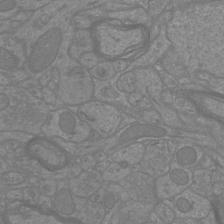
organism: Mouse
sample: Cortical neurons